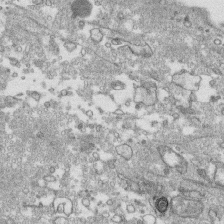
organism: Human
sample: CRL-1474